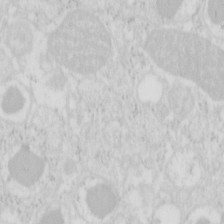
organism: Mouse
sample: Pancreas